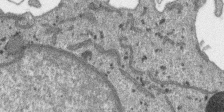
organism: Human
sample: Lung epithelial cells infected with SARS-CoV-2